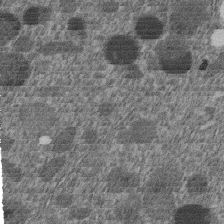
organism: C. elegans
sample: C. elegans embryo early stage